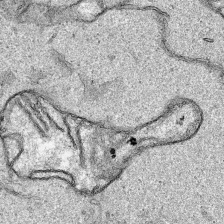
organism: Human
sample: Mitochondria in HCT116 cells